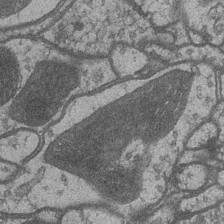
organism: Drosophila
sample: Optic medulla